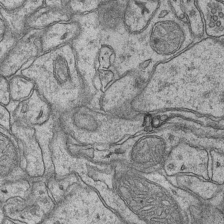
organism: Mouse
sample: CA1 Hippocampus